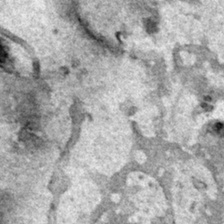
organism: Human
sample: Mitochondria in HCT116 cells